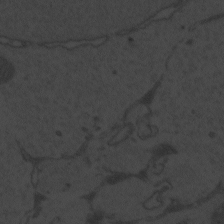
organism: Zebrafish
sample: Macrophage infected with Toxoplasma gondii